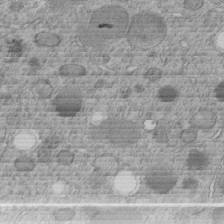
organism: C. elegans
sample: C. elegans embryo early stage